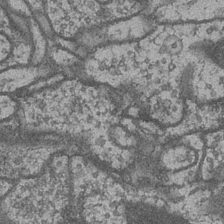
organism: Drosophila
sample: Optic medulla